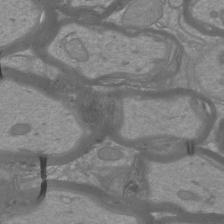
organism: Mouse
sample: Cortical neurons